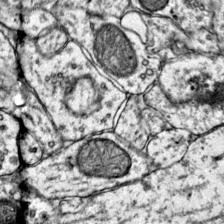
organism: Mouse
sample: Primary visual cortex